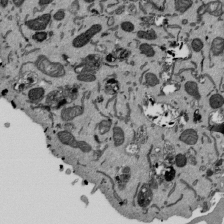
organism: Mouse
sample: ED-1 cell nuclei; centrioles